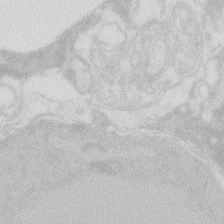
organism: Zebrafish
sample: Macrophage